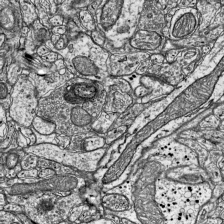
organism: Mouse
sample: Visual Cortex